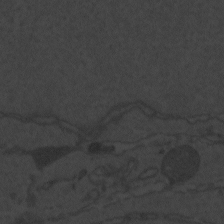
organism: Zebrafish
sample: Macrophage infected with Toxoplasma gondii